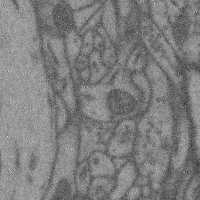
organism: Mouse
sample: Cerebral cortex